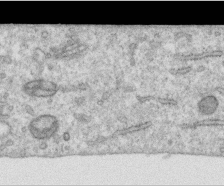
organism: Human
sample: Centriole in RPE cells